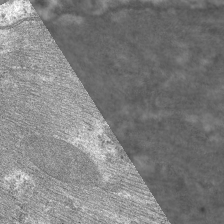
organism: C. elegans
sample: Pharynx